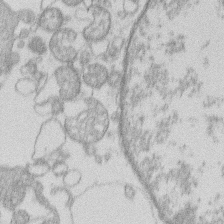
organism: Human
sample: Macrophage cells